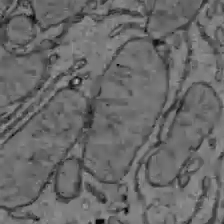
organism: C57BL Mouse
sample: Liver